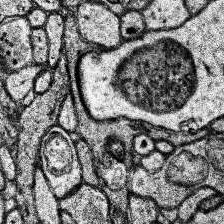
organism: Human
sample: Temporal Lobe